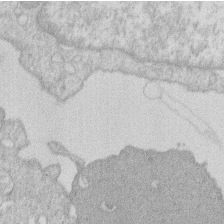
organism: Human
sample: Macrophage cells